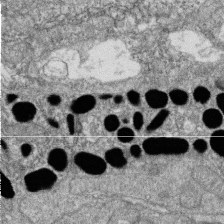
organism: Zebrafish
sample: Cilia; retinal pigment epithelium